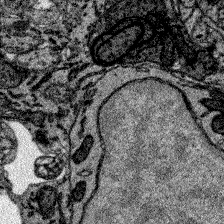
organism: Zebrafish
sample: Larval olfactory bulb